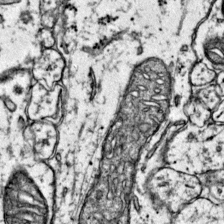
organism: Mouse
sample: Primary visual cortex